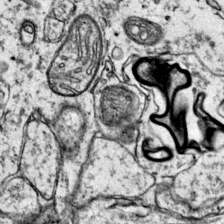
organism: Mouse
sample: Primary visual cortex